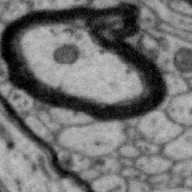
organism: Zebra finch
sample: Brain